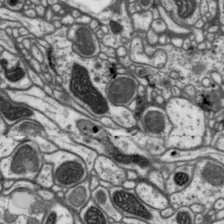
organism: Drosophila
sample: Protocerebral bridge